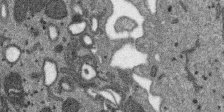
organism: Human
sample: Lung epithelial cells infected with SARS-CoV-2